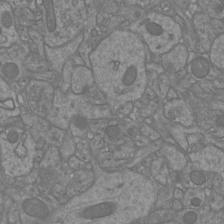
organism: Mouse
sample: Cortical neurons